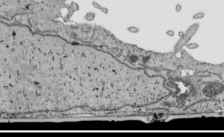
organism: Human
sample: Mitochondria in HCT116 cells